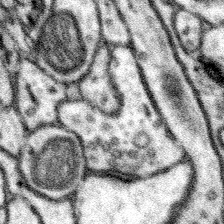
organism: Mouse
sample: Somatosensory cortex neuropil